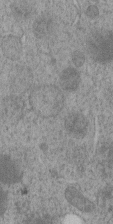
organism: C. elegans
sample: C. elegans embryo early stage